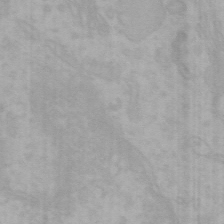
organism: Mouse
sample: Choroid plexus